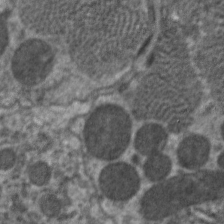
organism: C. elegans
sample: Pharynx